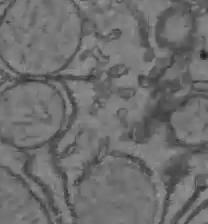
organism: C57BL Mouse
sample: Liver